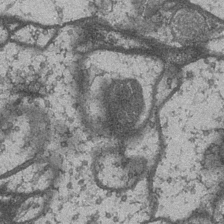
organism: Drosophila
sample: Optic medulla